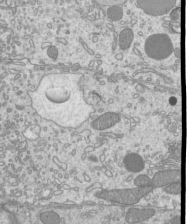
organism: Mouse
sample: Cilia; mouse epididymis